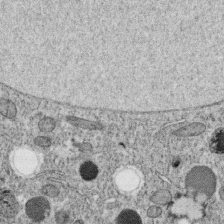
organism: C. elegans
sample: C. elegans oocyte; sperm cells